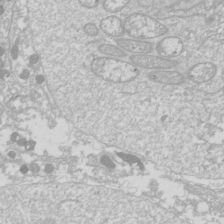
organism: Drosophila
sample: Cell division; meiosis; drosophila spermatocytes